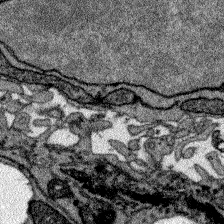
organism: Zebrafish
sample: Larval olfactory bulb